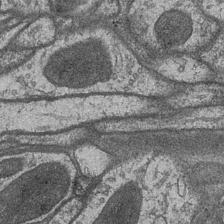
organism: Drosophila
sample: Optic medulla